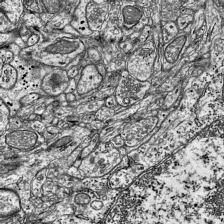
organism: Mouse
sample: Visual Cortex